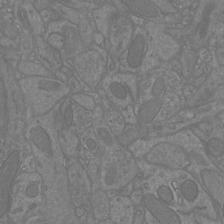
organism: Mouse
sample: Cortical neurons